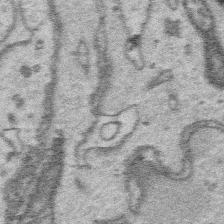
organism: Platynereis dumerilii